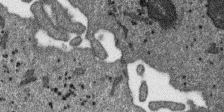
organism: Human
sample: Lung epithelial cells infected with SARS-CoV-2